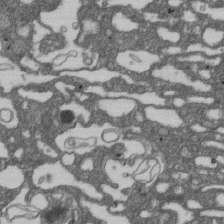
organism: Drosophila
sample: Nephrocyte